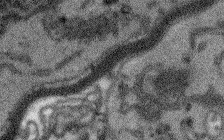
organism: Arabidopsis thaliana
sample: Root tip